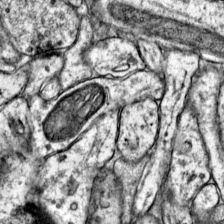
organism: Mouse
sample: Primary visual cortex